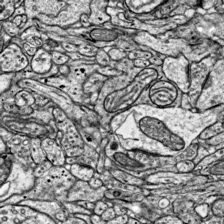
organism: Mouse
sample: Visual Cortex